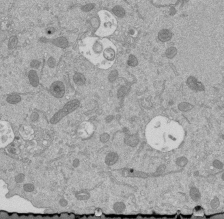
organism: Mouse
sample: ED-1 cell nuclei; centrioles